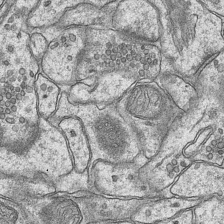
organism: Mouse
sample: CA1 Hippocampus